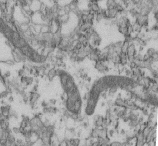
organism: Mouse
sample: Cilia; retinal pigment epithelium